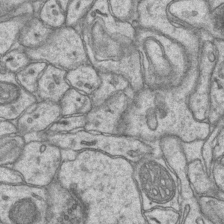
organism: Mouse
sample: CA1 Hippocampus